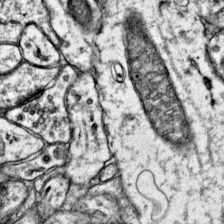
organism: Mouse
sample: Primary visual cortex